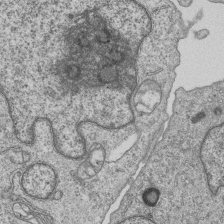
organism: Human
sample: MDA-MB-231 cells